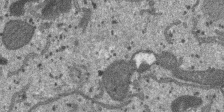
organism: Human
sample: Lung epithelial cells infected with SARS-CoV-2